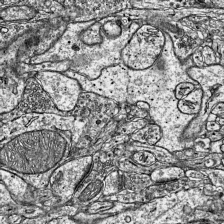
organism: Mouse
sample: Visual Cortex